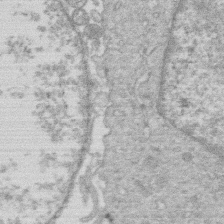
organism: Human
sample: Macrophage cells